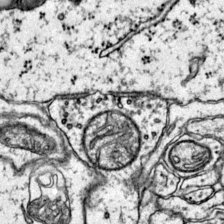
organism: Mouse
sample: Primary visual cortex